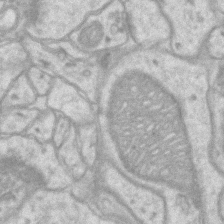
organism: Mouse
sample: CA1 Hippocampus